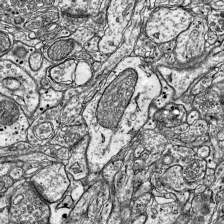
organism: Mouse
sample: Visual Cortex